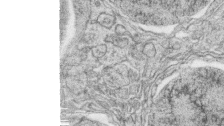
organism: Zebrafish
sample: synaptic ribbons in rod cells and cone cells